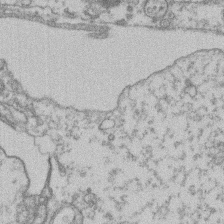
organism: Mouse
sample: T cell stromal cell synapse